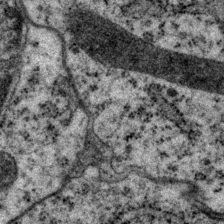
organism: P. pacificus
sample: Pharynx